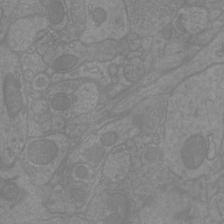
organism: Mouse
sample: Cortical neurons